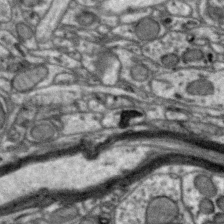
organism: Zebra finch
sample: Brain